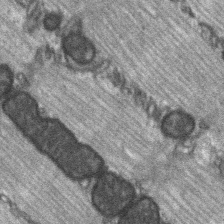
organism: C57BL Mouse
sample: Soleus